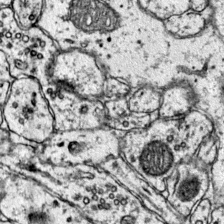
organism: Mouse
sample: Primary visual cortex